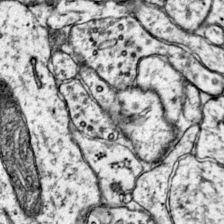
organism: Mouse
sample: Primary visual cortex